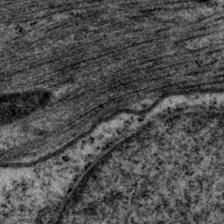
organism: P. pacificus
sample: Pharynx